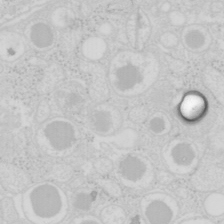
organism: Mouse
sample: Pancreas